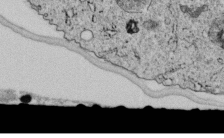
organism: C. elegans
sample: C. elegans embryo early stage